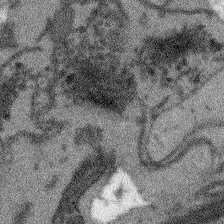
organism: Arabidopsis thaliana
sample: Root tip